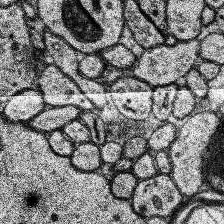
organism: Human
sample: Temporal Lobe